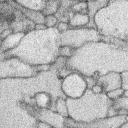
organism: Rabbit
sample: Retina